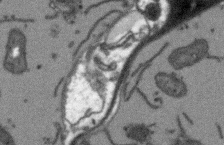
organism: Arabidopsis thaliana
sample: Root tip